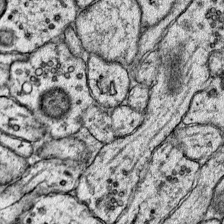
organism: Mouse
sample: Primary visual cortex